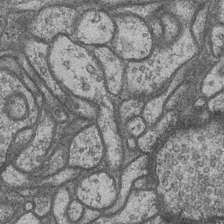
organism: Drosophila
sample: Optic medulla